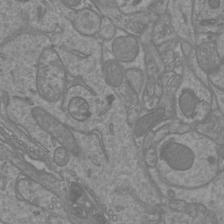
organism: Mouse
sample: Cortical neurons